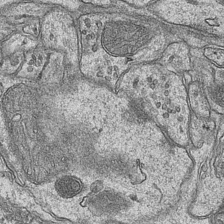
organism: Mouse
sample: CA1 Hippocampus